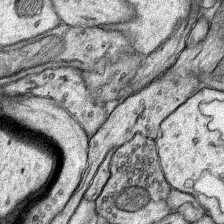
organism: Rat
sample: Hippocampus